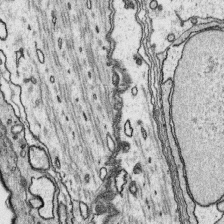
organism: Platynereis dumerilii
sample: Parapodia